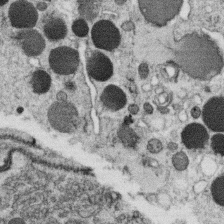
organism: C. elegans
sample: C. elegans oocyte; sperm cells